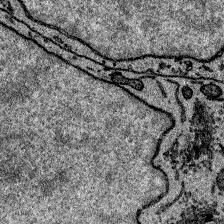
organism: Zebrafish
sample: Larval olfactory bulb